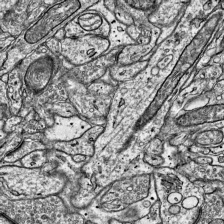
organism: Mouse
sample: Visual Cortex